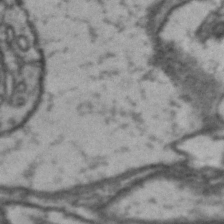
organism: Drosophila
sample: Brain